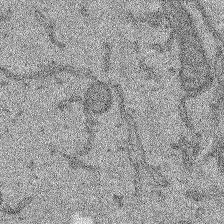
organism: Human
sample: HeLa cells